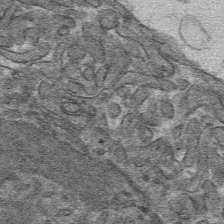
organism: Mouse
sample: Mouse hepatocytes